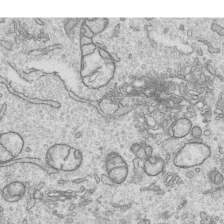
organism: Human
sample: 1205lu cells